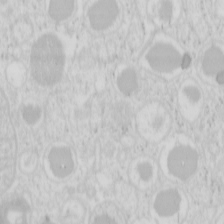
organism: Mouse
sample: Pancreas